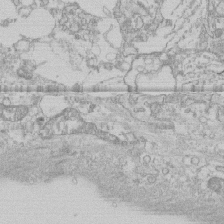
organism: Human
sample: CRL-1474